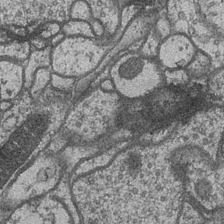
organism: Drosophila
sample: Optic medulla